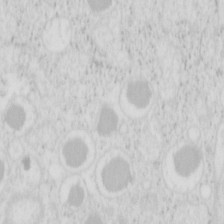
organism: Mouse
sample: Pancreas